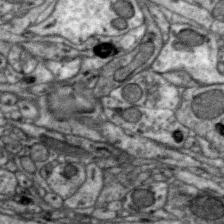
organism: Zebra finch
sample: Brain